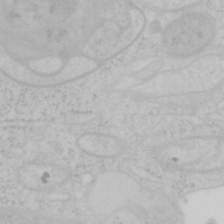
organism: Mouse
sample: OT-I killer T cells with ID8 ovarian cancer cells